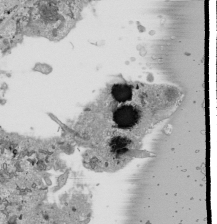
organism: Human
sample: Mitochondria in HCT116 cells